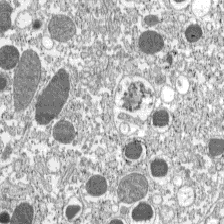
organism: C57BL Mouse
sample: Pancreatic islet